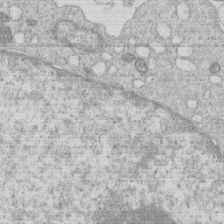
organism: Human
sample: Macrophage cells